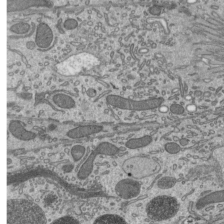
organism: Mouse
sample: Mouse epididymis efferent ductule cilia